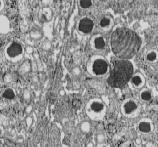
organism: C57BL Mouse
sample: Pancreatic islet